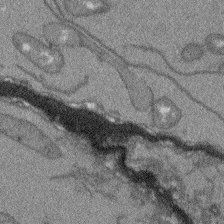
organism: Arabidopsis thaliana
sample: Root tip